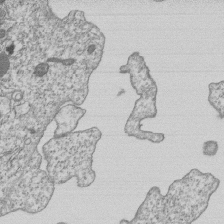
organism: Human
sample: MDA-MB-231 cells